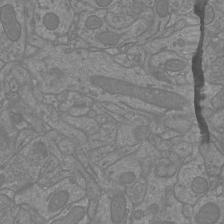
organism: Mouse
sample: Cortical neurons